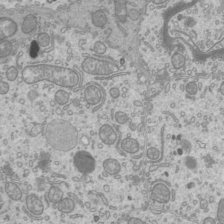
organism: Mouse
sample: Cilia; mouse epididymis